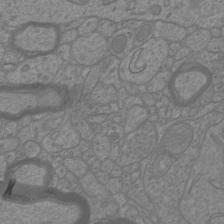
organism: Mouse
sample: Cortical neurons